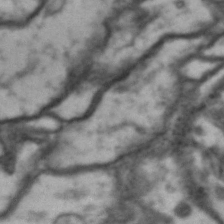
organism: Drosophila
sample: Brain